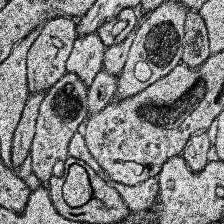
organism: Human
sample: Temporal Lobe